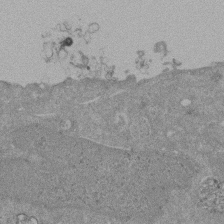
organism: Mouse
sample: ED-1 cell nuclei; centrioles